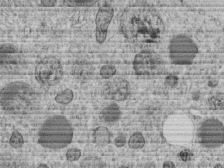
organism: C. elegans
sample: C. elegans embryo early stage